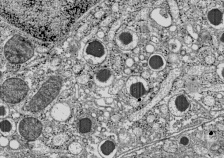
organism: C57BL Mouse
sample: Pancreatic islet